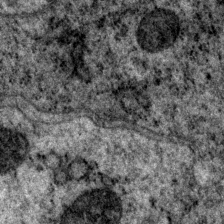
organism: P. pacificus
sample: Pharynx